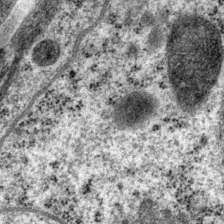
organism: P. pacificus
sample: Pharynx